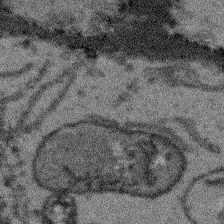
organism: Arabidopsis thaliana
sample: Root tip